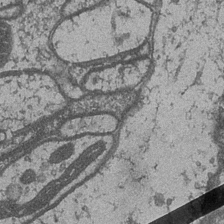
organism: Drosophila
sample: Optic medulla